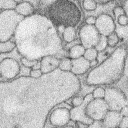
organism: Rabbit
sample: Retina